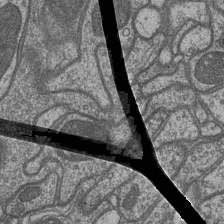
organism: Drosophila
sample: Optic medulla